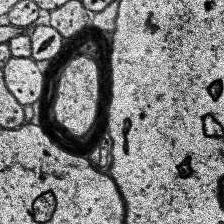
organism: Human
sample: Temporal Lobe